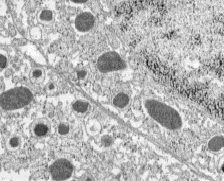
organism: C57BL Mouse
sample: Pancreatic islet